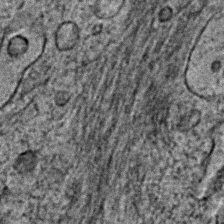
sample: Trachea